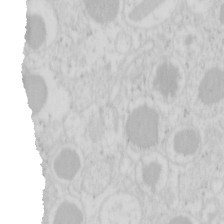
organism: Mouse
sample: Pancreas